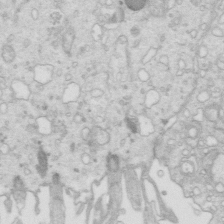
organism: Mouse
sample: Multiciliated cells